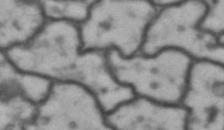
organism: Drosophila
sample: Brain